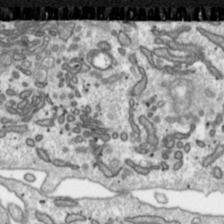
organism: Toxoplasma gondii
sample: Parasites in a vacuole inside a host cell